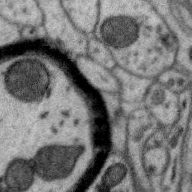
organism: Zebra finch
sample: Brain